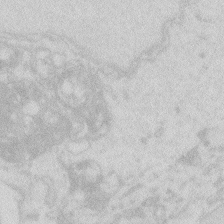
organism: Zebrafish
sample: Macrophage